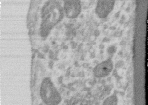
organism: Human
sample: Centriole in RPE cells